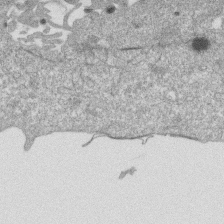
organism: Human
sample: HeLa cell HIV synapse